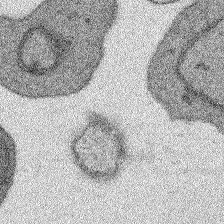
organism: Human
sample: HeLa cells